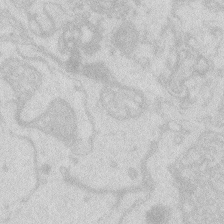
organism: Zebrafish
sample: Macrophage